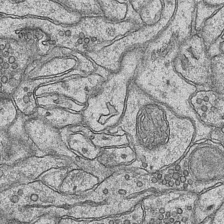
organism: Mouse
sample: CA1 Hippocampus